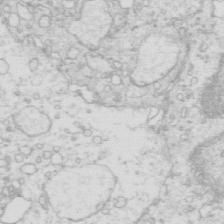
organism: Mouse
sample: Multiciliated cells